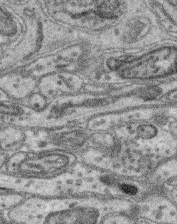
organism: Mouse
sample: Retina